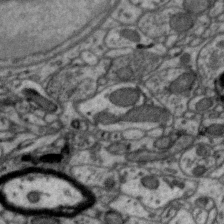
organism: Zebra finch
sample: Brain